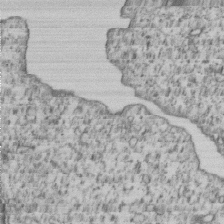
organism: Human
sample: MDA-MB-231 cells